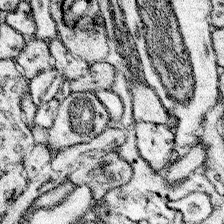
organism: Mouse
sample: Somatosensory cortex neuropil